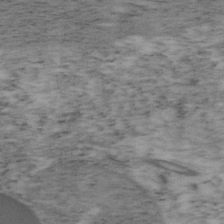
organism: Mouse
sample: OT-I killer T cells with ID8 ovarian cancer cells